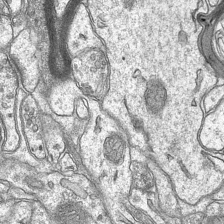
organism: Mouse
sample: CA1 Hippocampus